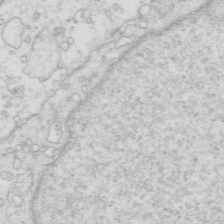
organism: Mouse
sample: Multiciliated cells